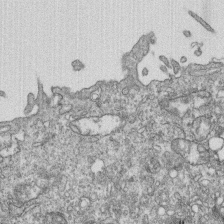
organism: Human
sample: HeLa cell HIV synapse